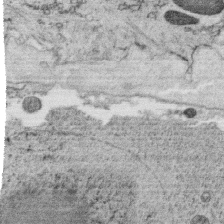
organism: C. elegans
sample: C. elegans oocyte; sperm cells